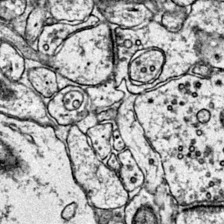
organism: Mouse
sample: Primary visual cortex